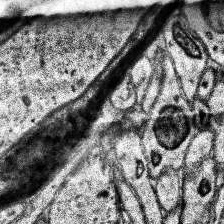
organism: Human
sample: Temporal Lobe